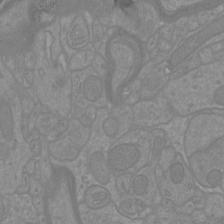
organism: Mouse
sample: Cortical neurons